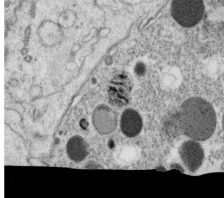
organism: C. elegans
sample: C. elegans oocyte; sperm cells